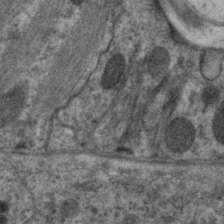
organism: C. elegans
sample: Pharynx